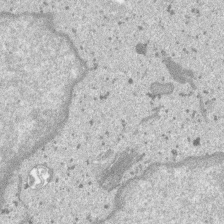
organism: Human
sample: Lung epithelial cells infected with SARS-CoV-2